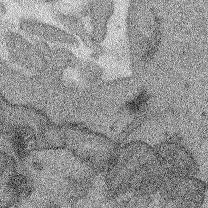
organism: Human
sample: HeLa cells